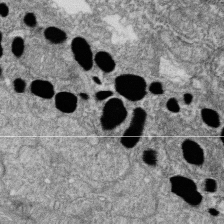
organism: Zebrafish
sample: Cilia; retinal pigment epithelium